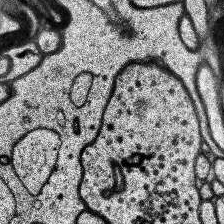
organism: Human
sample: Temporal Lobe